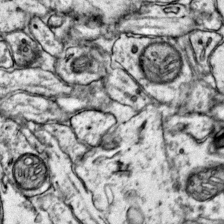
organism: Mouse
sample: Primary visual cortex